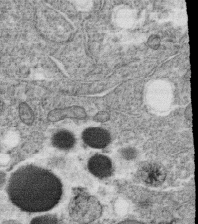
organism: C. elegans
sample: C. elegans oocyte; sperm cells